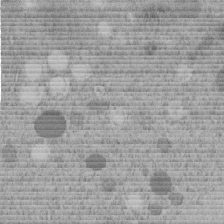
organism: C. elegans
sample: C. elegans embryo early stage